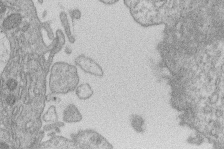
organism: Human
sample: Macrophage cells